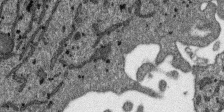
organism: Human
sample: Lung epithelial cells infected with SARS-CoV-2